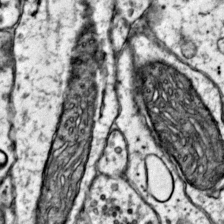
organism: Mouse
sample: Primary visual cortex